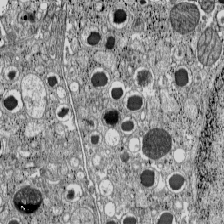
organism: C57BL Mouse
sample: Pancreatic islet